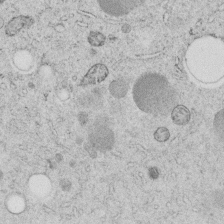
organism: C. elegans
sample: C. elegans embryo early stage